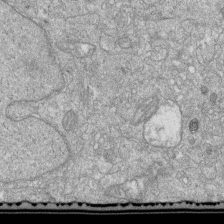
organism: Human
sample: HeLa cell HIV synapse